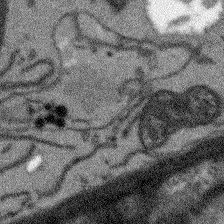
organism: Arabidopsis thaliana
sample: Root tip